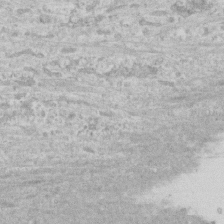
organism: Human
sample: CRL-1474